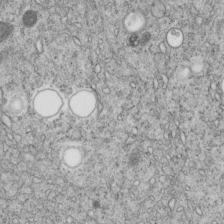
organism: C. elegans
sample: C. elegans embryo early stage